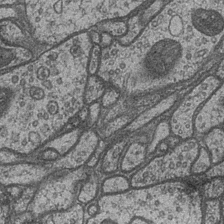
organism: Drosophila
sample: Optic medulla